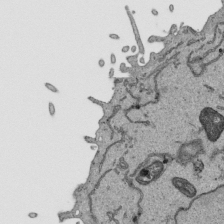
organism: Human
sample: Mitochondria in HCT116 cells